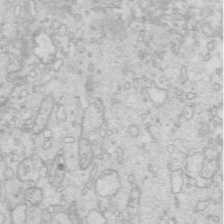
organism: Mouse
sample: Multiciliated cells